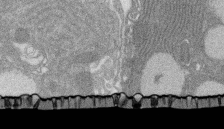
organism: Rat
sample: Salivary granule